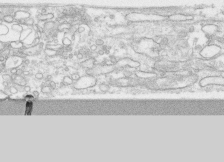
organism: Human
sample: CRL-1474